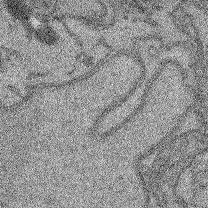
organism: Human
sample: HeLa cells